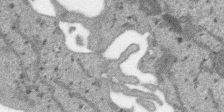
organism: Human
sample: Lung epithelial cells infected with SARS-CoV-2